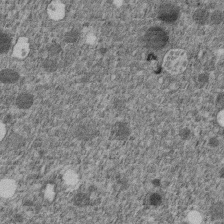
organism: C. elegans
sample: C. elegans embryo early stage